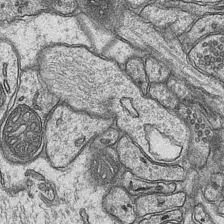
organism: Mouse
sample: CA1 Hippocampus